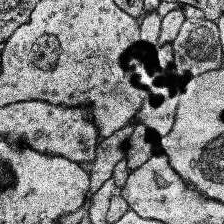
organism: Human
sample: Temporal Lobe